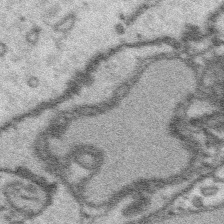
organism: Platynereis dumerilii